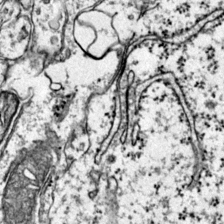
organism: Mouse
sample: Primary visual cortex